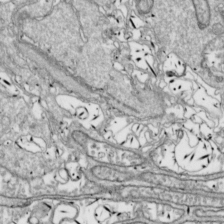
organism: Drosophila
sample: Cell division; meiosis; drosophila spermatocytes